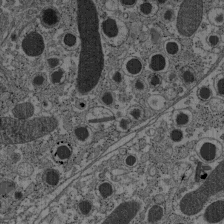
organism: C57BL Mouse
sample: Pancreatic islet